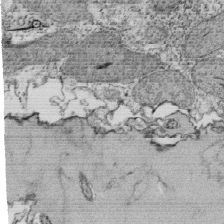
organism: Tetrahymena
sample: Cilia in tetrahymena